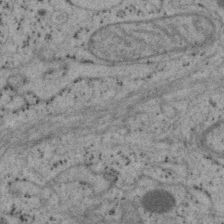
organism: Human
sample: HeLa cells